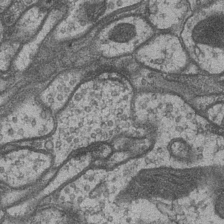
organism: Drosophila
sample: Optic medulla